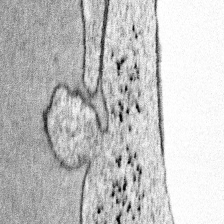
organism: Human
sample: HeLa cells